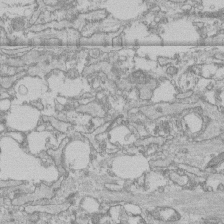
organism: Human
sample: CRL-1474